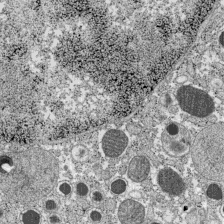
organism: C57BL Mouse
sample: Pancreatic islet